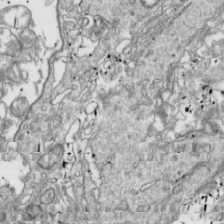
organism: Drosophila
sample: Cell division; meiosis; drosophila spermatocytes